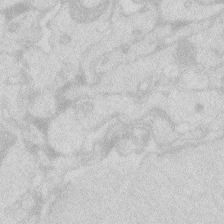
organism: Zebrafish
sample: Macrophage